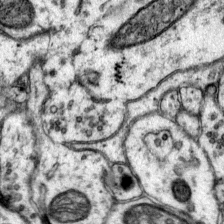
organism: Mouse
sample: Primary visual cortex